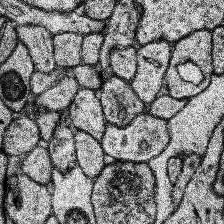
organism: Human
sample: Temporal Lobe